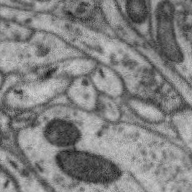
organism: Zebra finch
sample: Brain